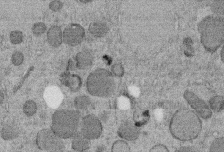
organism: C. elegans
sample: C. elegans embryo early stage